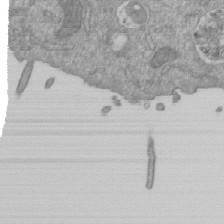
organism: Mouse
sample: ED-1 cell nuclei; centrioles